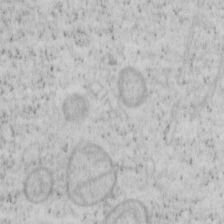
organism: Human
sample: HeLa cells